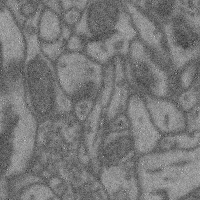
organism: Mouse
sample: Cerebral cortex